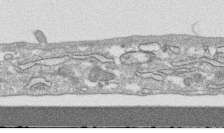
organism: Human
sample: CRL-1474